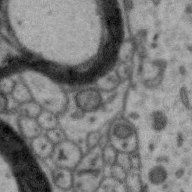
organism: Zebra finch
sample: Brain